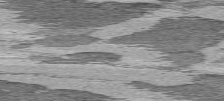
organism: C57BL Mouse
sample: Heart